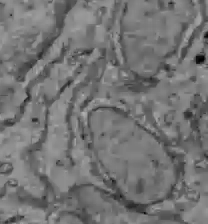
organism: C57BL Mouse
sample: Liver